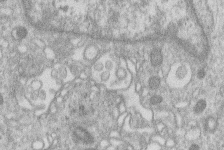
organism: Human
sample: Macrophage cells